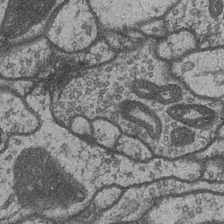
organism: Drosophila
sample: Optic medulla